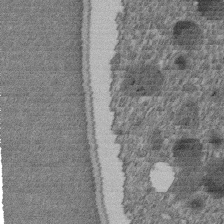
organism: C. elegans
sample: C. elegans embryo early stage